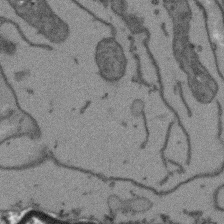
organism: Arabidopsis thaliana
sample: Root tip